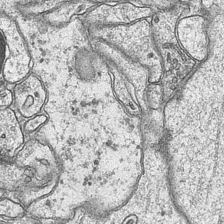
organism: Mouse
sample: CA1 Hippocampus